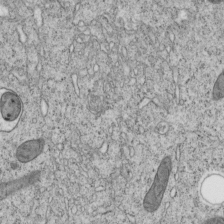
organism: C. elegans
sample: C. elegans embryo early stage